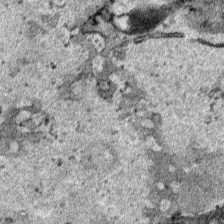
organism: Human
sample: Mitochondria in HCT116 cells